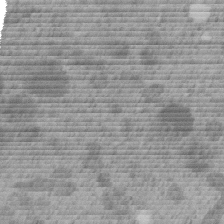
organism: C. elegans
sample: C. elegans embryo early stage